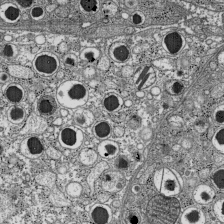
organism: C57BL Mouse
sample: Pancreatic islet